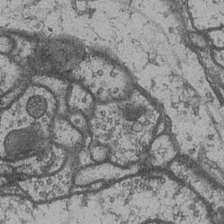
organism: Drosophila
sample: Optic medulla